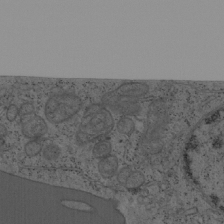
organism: Human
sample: HeLa cells